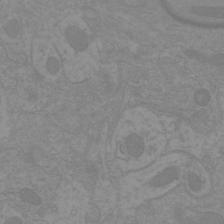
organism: Mouse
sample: Cortical neurons